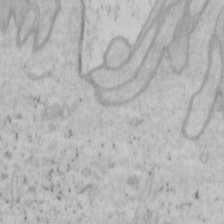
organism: Human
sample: HeLa cells